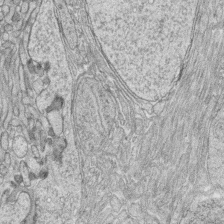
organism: Zebrafish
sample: synaptic ribbons in rod cells and cone cells